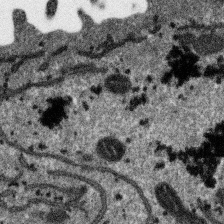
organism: Human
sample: Lung epithelial cells infected with SARS-CoV-2